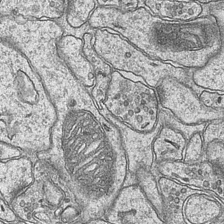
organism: Mouse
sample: CA1 Hippocampus